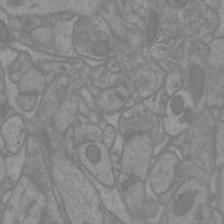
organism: Mouse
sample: Cortical neurons